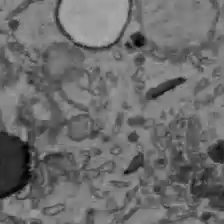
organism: C57BL Mouse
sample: Liver